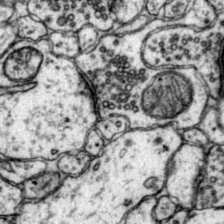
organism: Mouse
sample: Primary visual cortex